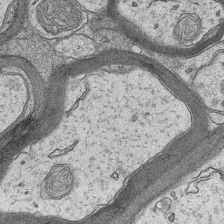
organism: Mouse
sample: CA1 Hippocampus